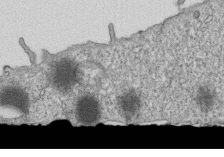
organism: Human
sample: HeLa cell HIV synapse